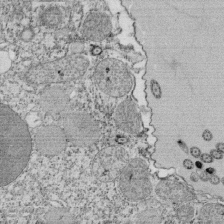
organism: Tetrahymena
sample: Cilia in tetrahymena